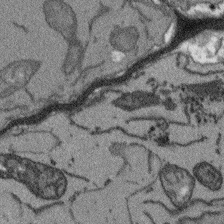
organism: Arabidopsis thaliana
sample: Root tip